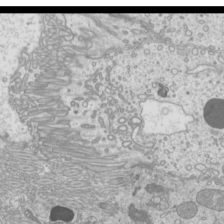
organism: Mouse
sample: Cilia; mouse epididymis